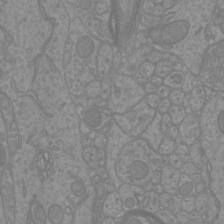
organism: Mouse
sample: Cortical neurons